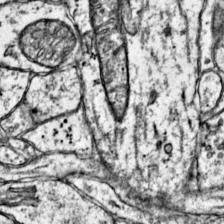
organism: Mouse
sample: Primary visual cortex